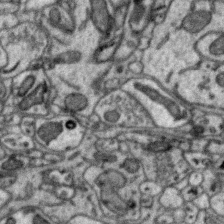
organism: Zebra finch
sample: Brain